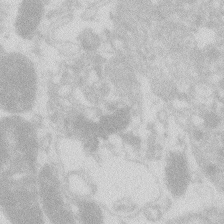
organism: Zebrafish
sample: Macrophage